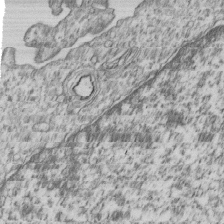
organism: Human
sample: MDA-MB-231 cells